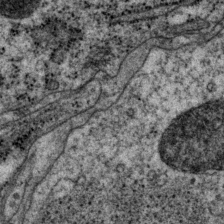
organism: P. pacificus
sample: Pharynx